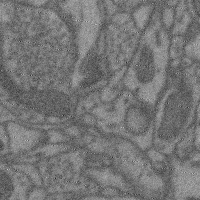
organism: Mouse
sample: Cerebral cortex